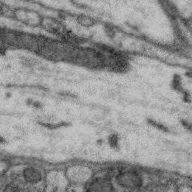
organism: Zebra finch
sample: Brain